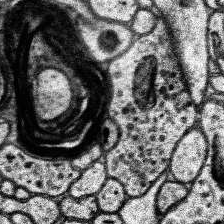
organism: Human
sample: Temporal Lobe